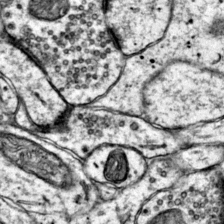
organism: Mouse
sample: Primary visual cortex